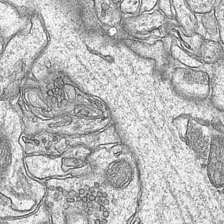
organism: Mouse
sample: CA1 Hippocampus